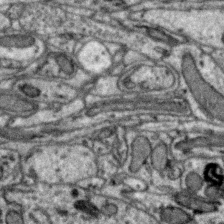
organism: Zebra finch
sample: Brain